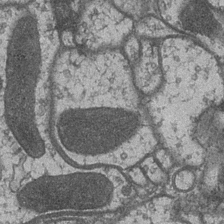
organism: Drosophila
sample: Optic medulla